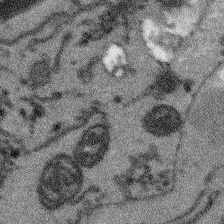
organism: Arabidopsis thaliana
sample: Root tip